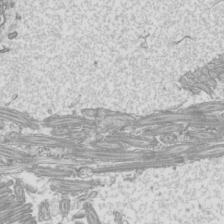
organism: Mouse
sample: Cilia; mouse epididymis